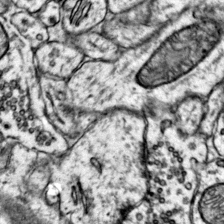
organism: Mouse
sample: Primary visual cortex